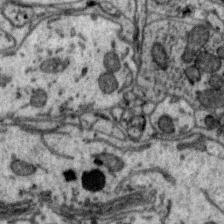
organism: Zebra finch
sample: Brain